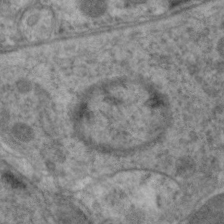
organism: C. elegans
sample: Pharynx